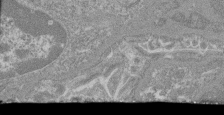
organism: Mouse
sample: Glomerulus